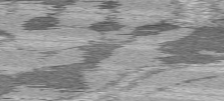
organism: C57BL Mouse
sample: Heart